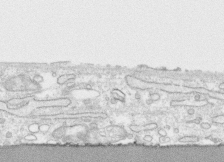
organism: Human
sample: CRL-1474